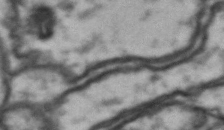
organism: Drosophila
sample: Brain